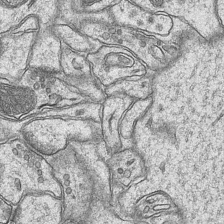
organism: Mouse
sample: CA1 Hippocampus